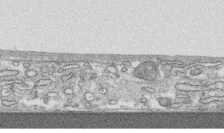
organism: Human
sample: CRL-1474